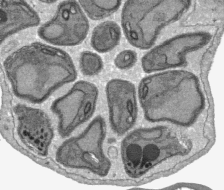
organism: Plasmodium falciparum